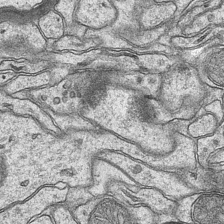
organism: Mouse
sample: CA1 Hippocampus